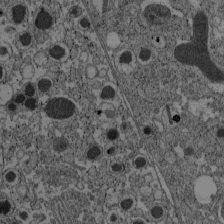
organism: C57BL Mouse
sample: Pancreatic islet